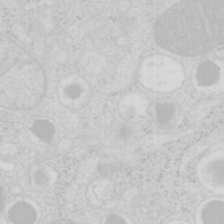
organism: Mouse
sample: Pancreas